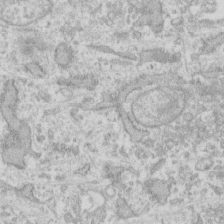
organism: Human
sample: Fibroblast cells